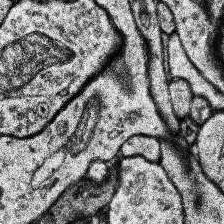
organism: Human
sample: Temporal Lobe